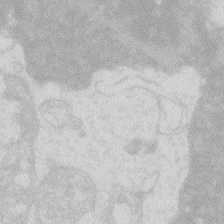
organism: Zebrafish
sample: Macrophage